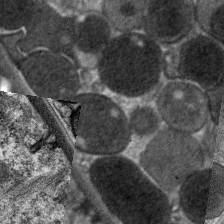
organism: C. elegans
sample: Pharynx